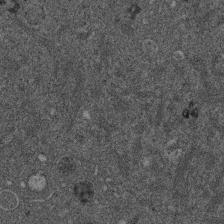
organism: Mouse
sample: Dividing mouse embryo 1 cell stage